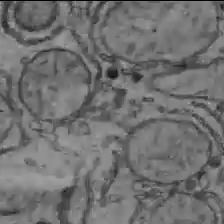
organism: C57BL Mouse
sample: Liver